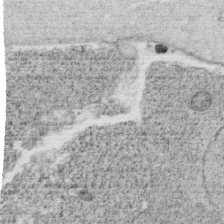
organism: C. elegans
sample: C. elegans oocyte; sperm cells